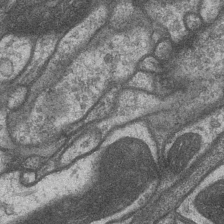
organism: Drosophila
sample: Optic medulla